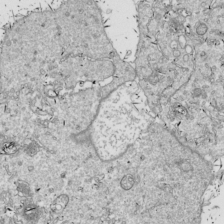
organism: Drosophila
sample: Cell division; meiosis; drosophila spermatocytes